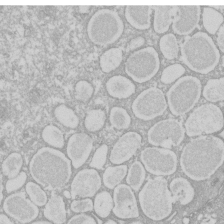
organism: Xenopus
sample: Cilia; centrioles in frog embryo cells